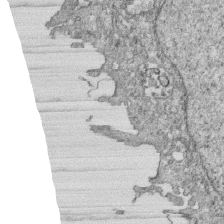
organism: Human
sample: HeLa cell HIV synapse